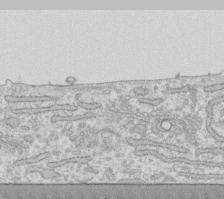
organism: Human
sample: Fibroblast cells